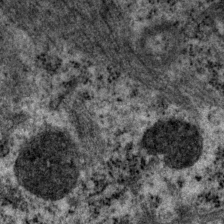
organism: P. pacificus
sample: Pharynx